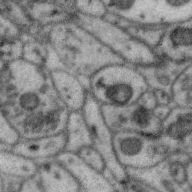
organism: Zebra finch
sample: Brain